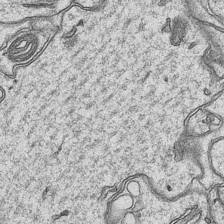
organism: Mouse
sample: CA1 Hippocampus